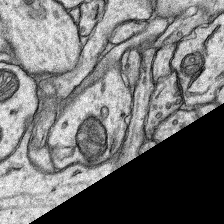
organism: Rat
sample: Hippocampus